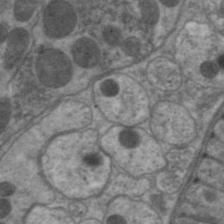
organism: C. elegans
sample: Pharynx